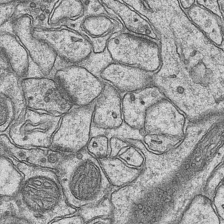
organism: Mouse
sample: CA1 Hippocampus